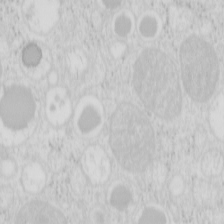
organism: Mouse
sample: Pancreas